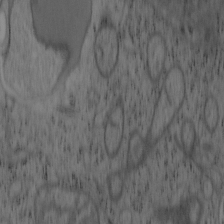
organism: Human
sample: HeLa cells